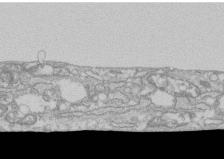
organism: Human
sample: CRL-1474